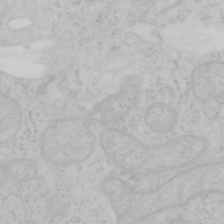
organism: Mouse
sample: OT-I killer T cells with ID8 ovarian cancer cells